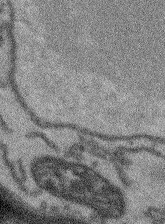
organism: Arabidopsis thaliana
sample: Root tip